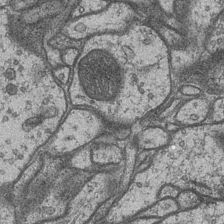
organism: Drosophila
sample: Optic medulla